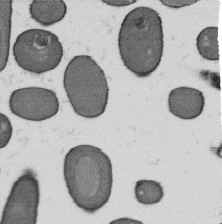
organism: B. subtilis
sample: Bacterial spore